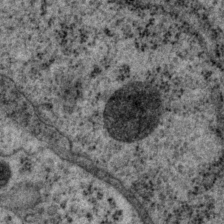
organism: P. pacificus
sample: Pharynx